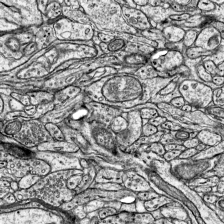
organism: Mouse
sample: Visual Cortex